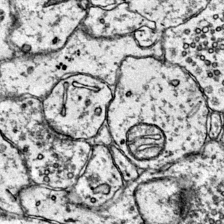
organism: Mouse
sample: Primary visual cortex